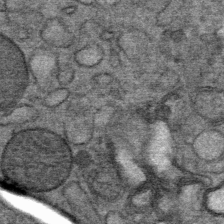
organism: Mouse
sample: Mouse Salivary gland